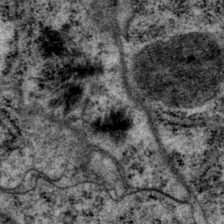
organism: P. pacificus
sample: Pharynx